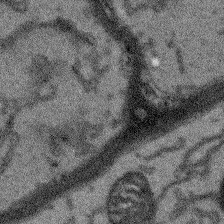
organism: Arabidopsis thaliana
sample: Root tip